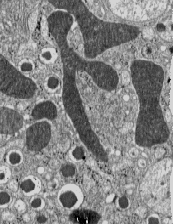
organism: C57BL Mouse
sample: Pancreatic islet